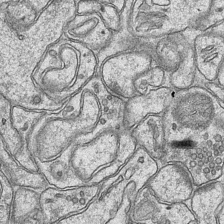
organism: Mouse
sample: CA1 Hippocampus